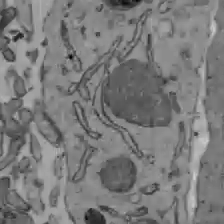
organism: C57BL Mouse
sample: Liver